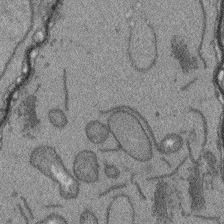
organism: Arabidopsis thaliana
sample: Root tip